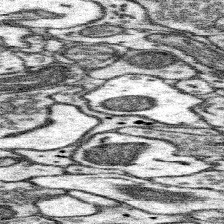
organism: Mouse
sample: Somatosensory cortex neuropil